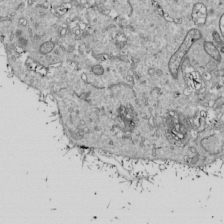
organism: Drosophila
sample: Cell division; meiosis; drosophila spermatocytes